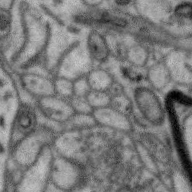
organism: Zebra finch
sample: Brain